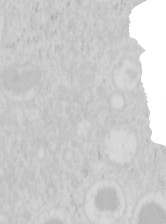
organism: Mouse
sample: Pancreas